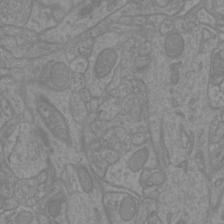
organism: Mouse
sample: Cortical neurons